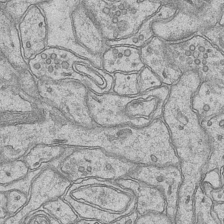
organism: Mouse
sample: CA1 Hippocampus